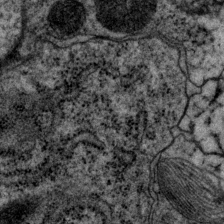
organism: P. pacificus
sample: Pharynx